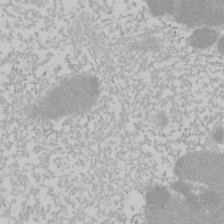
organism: Mouse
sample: Cancer cell death in ED-1 cells